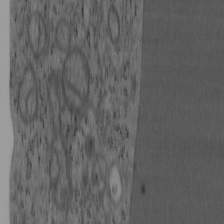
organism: Human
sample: HeLa cells